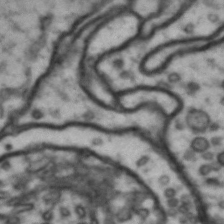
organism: Drosophila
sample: Brain